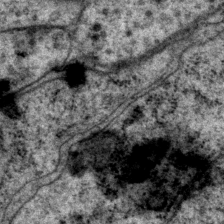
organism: P. pacificus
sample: Pharynx